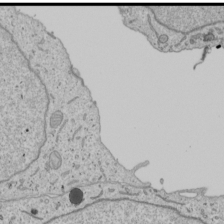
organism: Human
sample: Mitochondria in U2OS cells